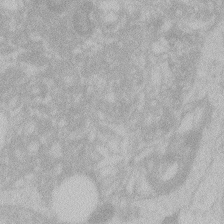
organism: Zebrafish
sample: Macrophage infected with Toxoplasma gondii